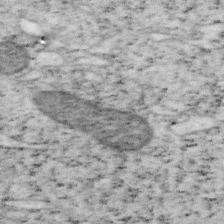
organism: Mouse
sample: OT-I killer T cells with ID8 ovarian cancer cells